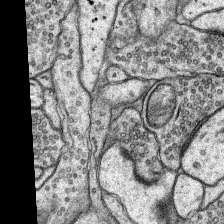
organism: Rat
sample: Hippocampus